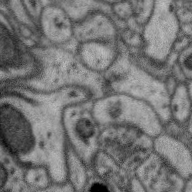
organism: Zebra finch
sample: Brain